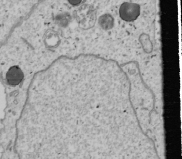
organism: Human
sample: Mitochondria in U2OS cells